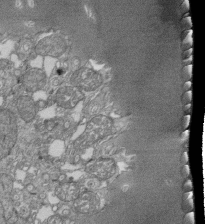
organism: Tetrahymena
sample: Cilia in tetrahymena